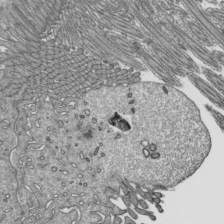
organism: Mouse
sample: Mouse epididymis efferent ductule cilia